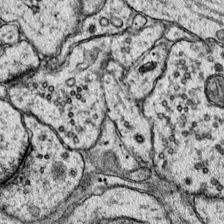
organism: Mouse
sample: Primary visual cortex